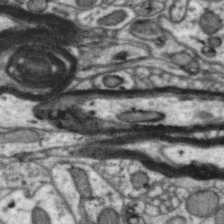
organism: Zebra finch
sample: Brain